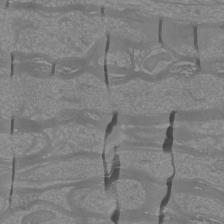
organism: Mouse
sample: Cortical neurons